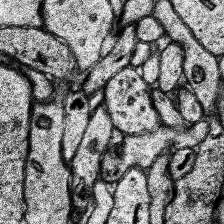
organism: Human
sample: Temporal Lobe